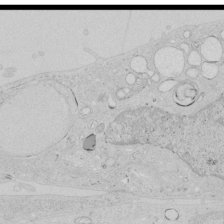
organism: Human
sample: Mitochondria in HCT116 cells